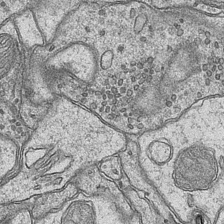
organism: Mouse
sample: CA1 Hippocampus